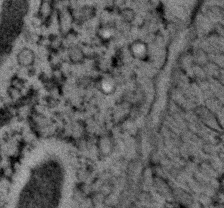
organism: C. elegans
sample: C. elegans embryo